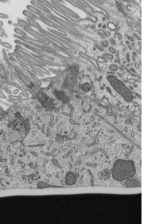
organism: Mouse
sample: Mouse epididymis efferent ductule cilia